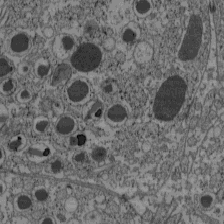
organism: C57BL Mouse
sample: Pancreatic islet